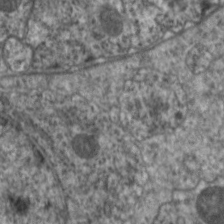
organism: C. elegans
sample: Pharynx